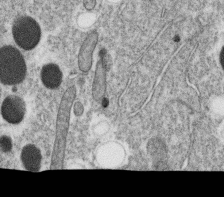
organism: C. elegans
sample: C. elegans oocyte; sperm cells